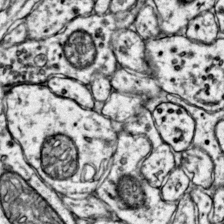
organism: Mouse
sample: Primary visual cortex